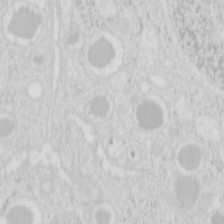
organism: Mouse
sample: Pancreas